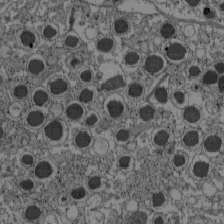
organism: C57BL Mouse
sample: Pancreatic islet